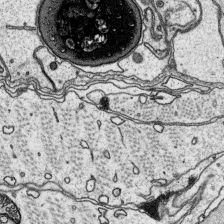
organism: Platynereis dumerilii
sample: Parapodia